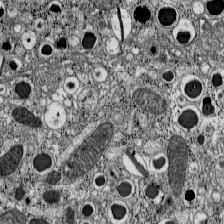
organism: C57BL Mouse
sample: Pancreatic islet